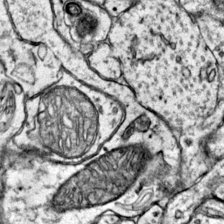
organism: Mouse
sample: Primary visual cortex